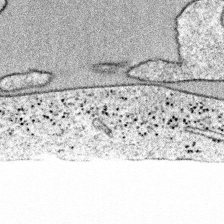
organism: Human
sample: HeLa cells